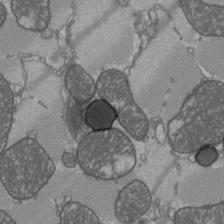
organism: C57BL Mouse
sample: Heart